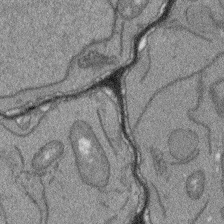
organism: Arabidopsis thaliana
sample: Root tip